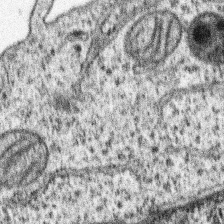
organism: Human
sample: HeLa cells